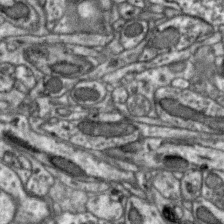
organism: Zebra finch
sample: Brain